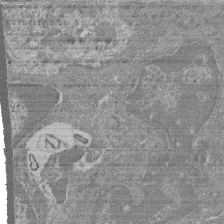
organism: Mouse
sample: Glomerulus